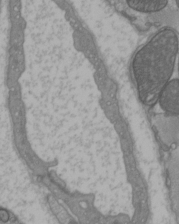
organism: C57BL Mouse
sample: Heart